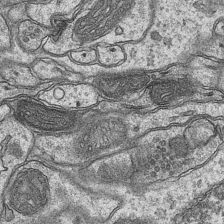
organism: Mouse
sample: CA1 Hippocampus